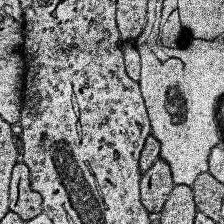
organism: Human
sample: Temporal Lobe